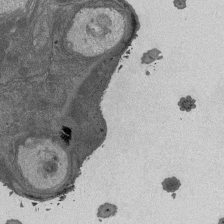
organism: Drosophila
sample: Antenna